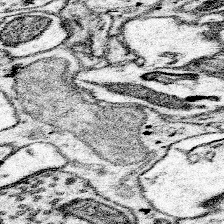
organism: Mouse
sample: Somatosensory cortex neuropil